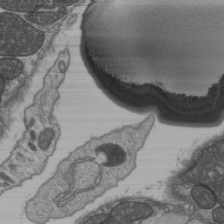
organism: C57BL Mouse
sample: Heart